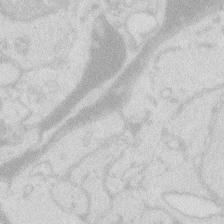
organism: Zebrafish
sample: Macrophage